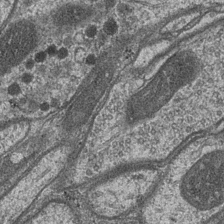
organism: Drosophila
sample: Optic medulla